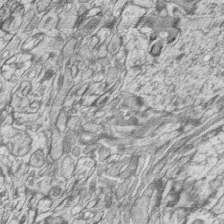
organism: Zebrafish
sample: synaptic ribbons in rod cells and cone cells